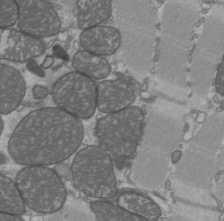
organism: C57BL Mouse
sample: Heart